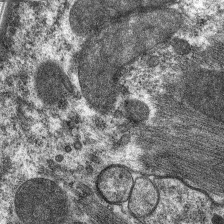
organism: C. elegans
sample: Pharynx